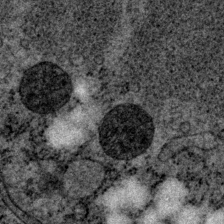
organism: P. pacificus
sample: Pharynx